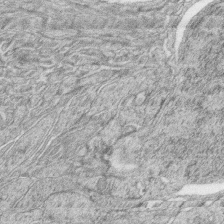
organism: Zebrafish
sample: synaptic ribbons in rod cells and cone cells